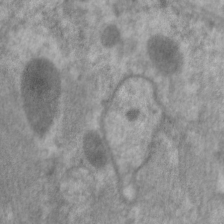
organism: C. elegans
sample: Pharynx